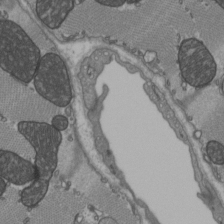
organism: C57BL Mouse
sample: Heart